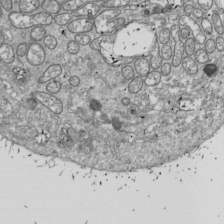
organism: Drosophila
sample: Cell division; meiosis; drosophila spermatocytes